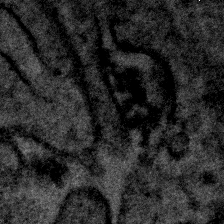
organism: Human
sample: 1205lu cells